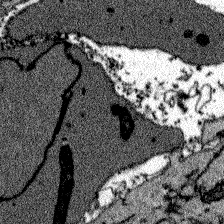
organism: Zebrafish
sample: Larval olfactory bulb